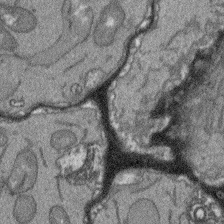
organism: Arabidopsis thaliana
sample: Root tip